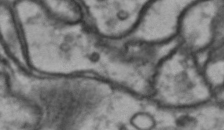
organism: Drosophila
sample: Brain